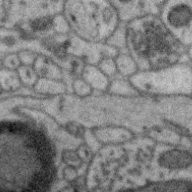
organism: Zebra finch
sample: Brain